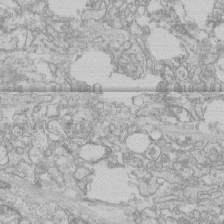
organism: Human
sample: CRL-1474